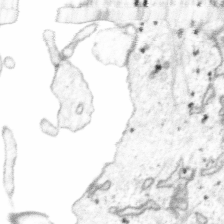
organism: Human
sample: HeLa cells